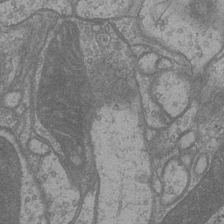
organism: Drosophila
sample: Optic medulla